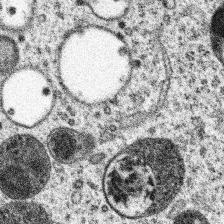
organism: Human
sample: HeLa cells